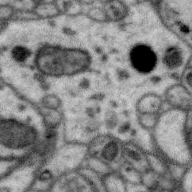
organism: Zebra finch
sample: Brain